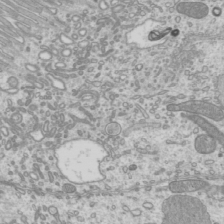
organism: Mouse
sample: Cilia; mouse epididymis